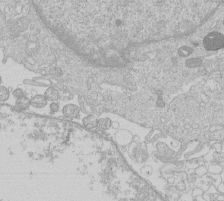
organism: Human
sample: Macrophage cells